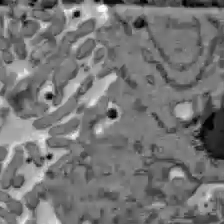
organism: C57BL Mouse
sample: Liver